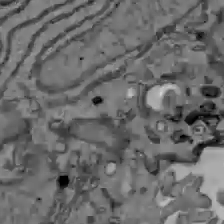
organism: C57BL Mouse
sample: Liver